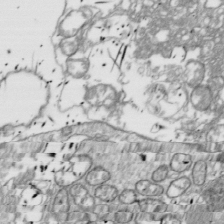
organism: Drosophila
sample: Cell division; meiosis; drosophila spermatocytes